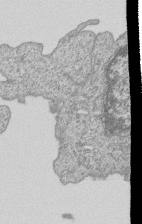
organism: Human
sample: MDA-MB-231 cells